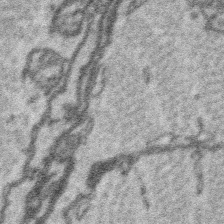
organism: Platynereis dumerilii